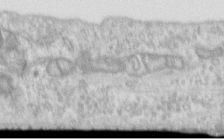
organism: Human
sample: Centriole in RPE cells